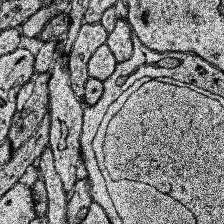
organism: Human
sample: Temporal Lobe